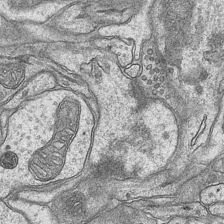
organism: Mouse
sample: CA1 Hippocampus